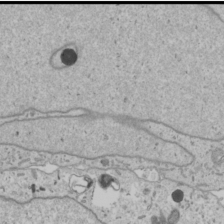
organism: Human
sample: Mitochondria in U2OS cells